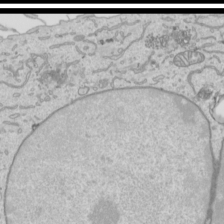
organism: Human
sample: Mitochondria in HCT116 cells